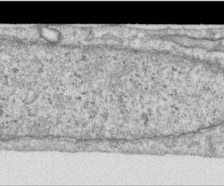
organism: Human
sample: Centriole in RPE cells